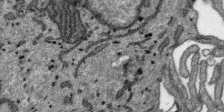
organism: Human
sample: Lung epithelial cells, uninfected (mock) control